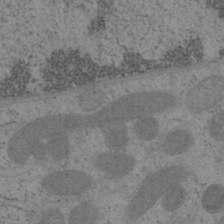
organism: Mouse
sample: OT-I killer T cells with ID8 ovarian cancer cells